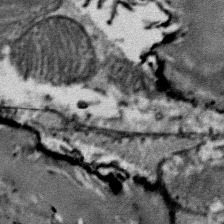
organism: Mouse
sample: Mouse Salivary gland